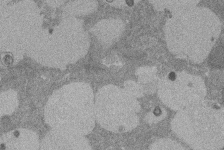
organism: Rat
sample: Salivary granule